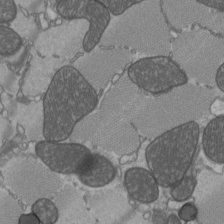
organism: C57BL Mouse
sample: Heart